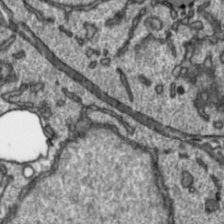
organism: Toxoplasma gondii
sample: Parasites in a vacuole inside a host cell